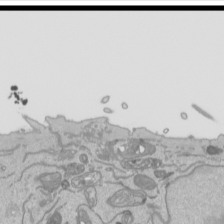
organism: Human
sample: Mitochondria in HCT116 cells